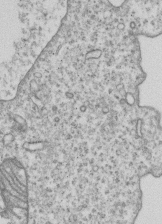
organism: Human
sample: MDA-MB-231 cells